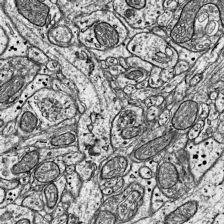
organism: Mouse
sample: Visual Cortex